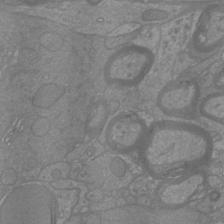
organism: Mouse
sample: Cortical neurons